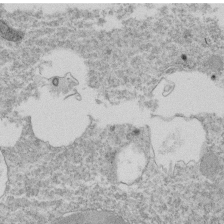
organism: Tetrahymena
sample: Cilia in tetrahymena